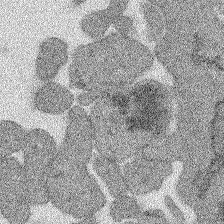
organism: Human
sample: HeLa cells